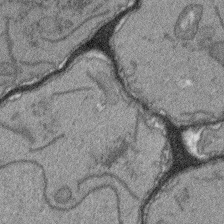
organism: Arabidopsis thaliana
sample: Root tip